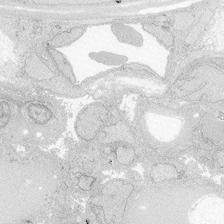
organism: Zebrafish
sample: Whole-Brain